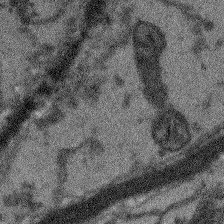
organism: Arabidopsis thaliana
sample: Root tip